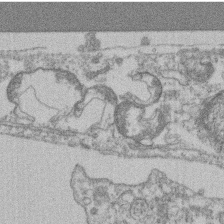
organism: Mouse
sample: T cell stromal cell synapse